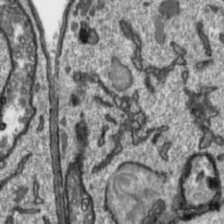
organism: Toxoplasma gondii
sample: Parasites in a vacuole inside a host cell